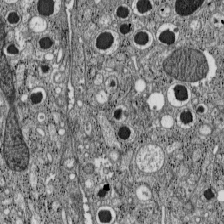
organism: C57BL Mouse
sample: Pancreatic islet